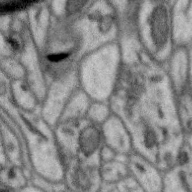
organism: Zebra finch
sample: Brain